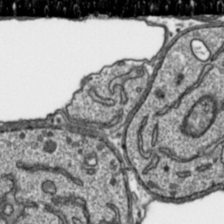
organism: Toxoplasma gondii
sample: Parasites in a vacuole inside a host cell